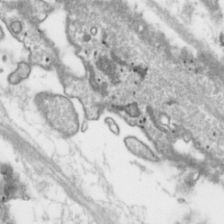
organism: Toxoplasma gondii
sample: Parasites in a vacuole inside a host cell